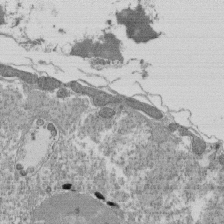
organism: Tetrahymena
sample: Cilia in tetrahymena